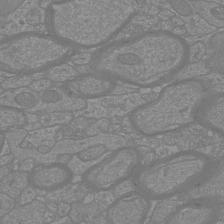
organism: Mouse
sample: Cortical neurons